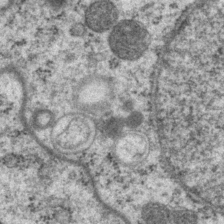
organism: P. pacificus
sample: Pharynx